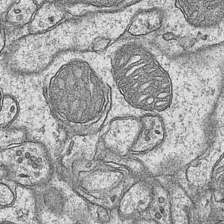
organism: Mouse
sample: CA1 Hippocampus